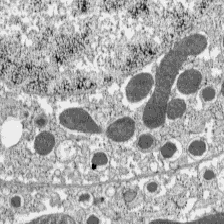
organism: C57BL Mouse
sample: Pancreatic islet